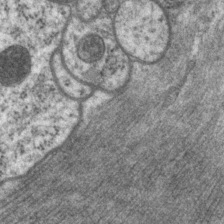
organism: P. pacificus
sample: Pharynx